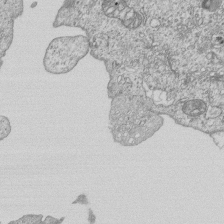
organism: Human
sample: MDA-MB-231 cells